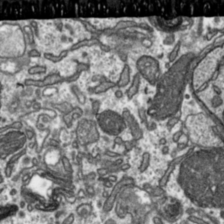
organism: Toxoplasma gondii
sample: Parasites in a vacuole inside a host cell